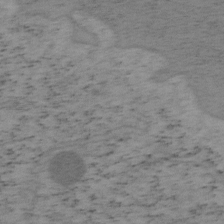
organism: Mouse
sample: OT-I killer T cells with ID8 ovarian cancer cells